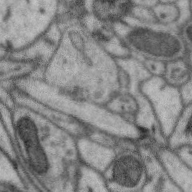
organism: Zebra finch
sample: Brain